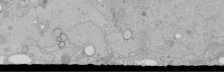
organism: Human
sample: Caco-2 cells